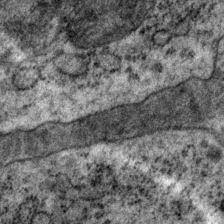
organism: P. pacificus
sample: Pharynx